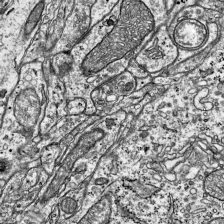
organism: Mouse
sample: Visual Cortex